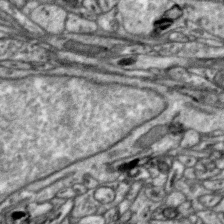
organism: Zebra finch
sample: Brain